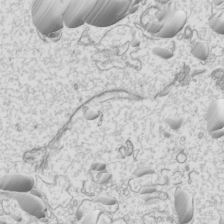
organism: Mouse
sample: Cilia; mouse epididymis